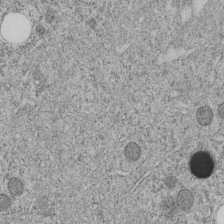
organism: C. elegans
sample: C. elegans embryo early stage